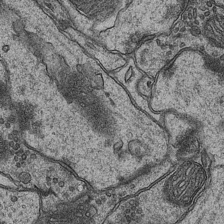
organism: Mouse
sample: CA1 Hippocampus